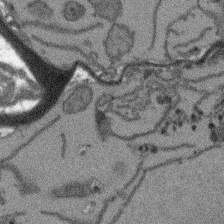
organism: Arabidopsis thaliana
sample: Root tip